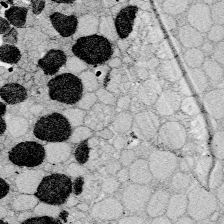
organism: Zebrafish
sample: Whole-Brain